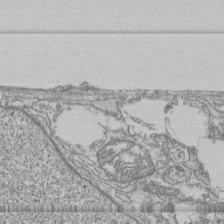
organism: Human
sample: Fibroblast cells